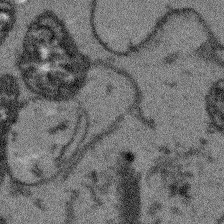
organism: Arabidopsis thaliana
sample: Root tip